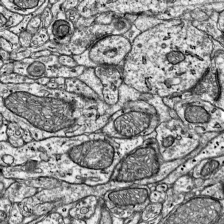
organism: Mouse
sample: Visual Cortex